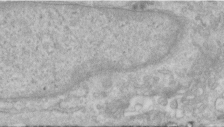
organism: Human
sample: Centriole in RPE cells